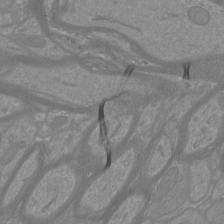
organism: Mouse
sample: Cortical neurons